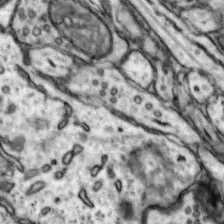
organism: Mouse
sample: Nucleus accumbens